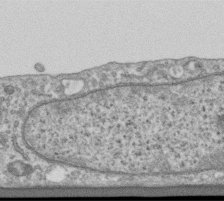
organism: Human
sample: Centriole in RPE cells